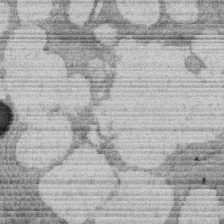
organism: Rat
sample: Salivary granule